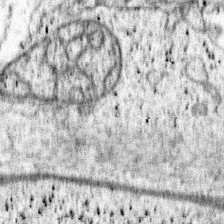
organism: Human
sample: HeLa cells